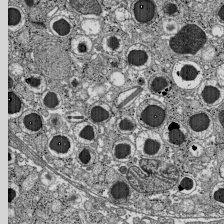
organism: C57BL Mouse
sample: Pancreatic islet